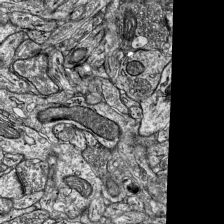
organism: Mouse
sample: Visual Cortex